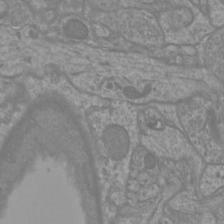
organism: Mouse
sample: Cortical neurons